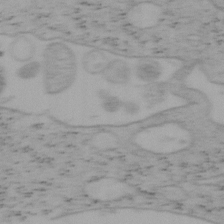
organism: Mouse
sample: OT-I killer T cells with ID8 ovarian cancer cells